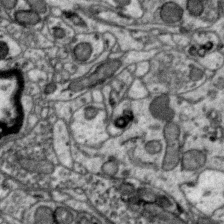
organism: Zebra finch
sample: Brain